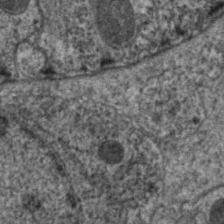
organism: C. elegans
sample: Pharynx